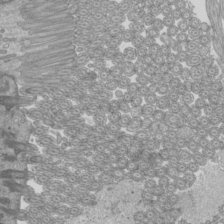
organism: Mouse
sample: Cilia; mouse epididymis